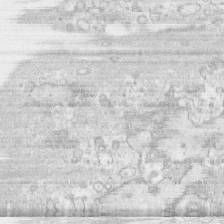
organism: Human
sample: CRL-1474